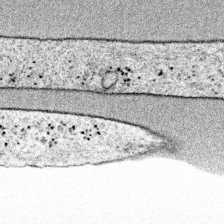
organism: Human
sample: HeLa cells